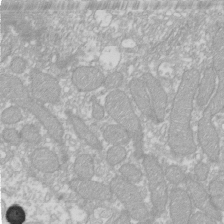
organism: Xenopus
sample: Cilia; centrioles in frog embryo cells